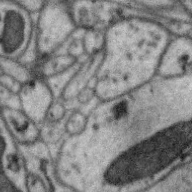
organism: Zebra finch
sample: Brain